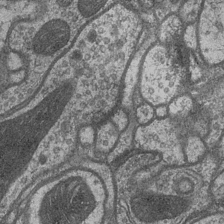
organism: Drosophila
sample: Optic medulla